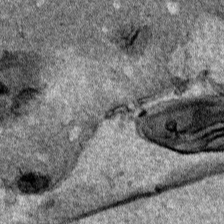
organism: Human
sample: Mitochondria in HCT116 cells